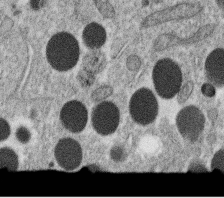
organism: C. elegans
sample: C. elegans oocyte; sperm cells